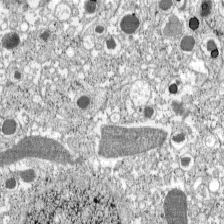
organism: C57BL Mouse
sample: Pancreatic islet